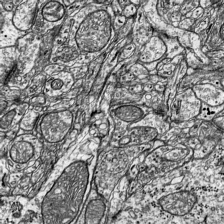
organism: Mouse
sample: Visual Cortex